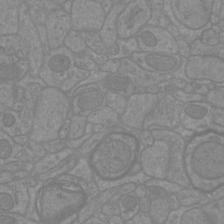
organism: Mouse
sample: Cortical neurons